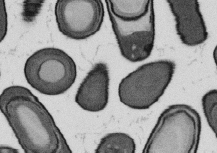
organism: B. subtilis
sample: Bacterial spore